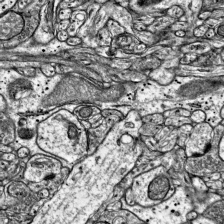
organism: Mouse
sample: Visual Cortex